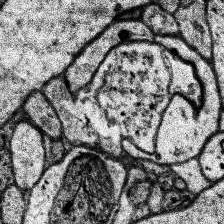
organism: Human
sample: Temporal Lobe